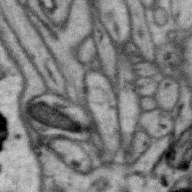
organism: Zebra finch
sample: Brain